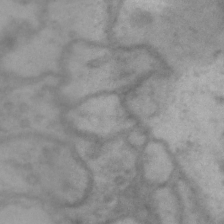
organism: Drosophila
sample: Brain